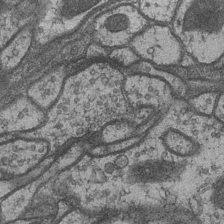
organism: Drosophila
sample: Optic medulla